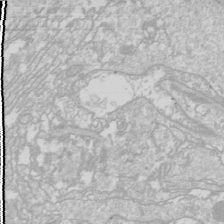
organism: Drosophila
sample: Cell division; meiosis; drosophila spermatocytes